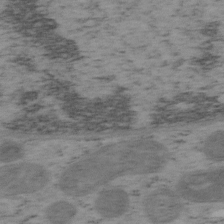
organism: Mouse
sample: OT-I killer T cells with ID8 ovarian cancer cells